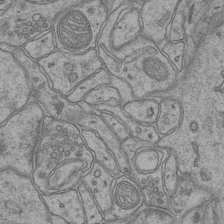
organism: Mouse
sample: CA1 Hippocampus